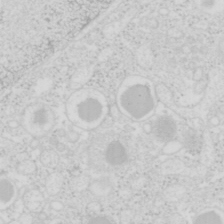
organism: Mouse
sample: Pancreas